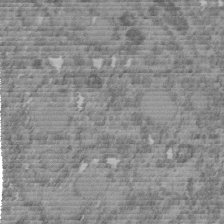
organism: C. elegans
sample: C. elegans embryo early stage